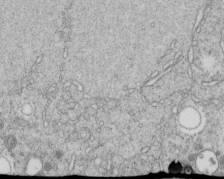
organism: C. elegans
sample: C. elegans embryo early stage